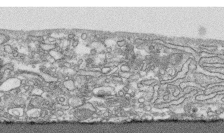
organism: Human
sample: CRL-1474